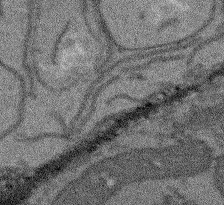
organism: Arabidopsis thaliana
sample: Root tip